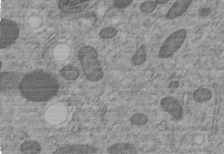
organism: C. elegans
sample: C. elegans embryo early stage